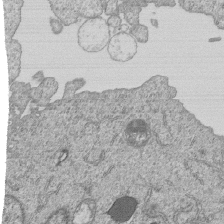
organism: Human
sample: MDA-MB-231 cells